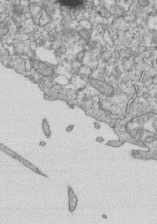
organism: Human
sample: HeLa cell HIV synapse